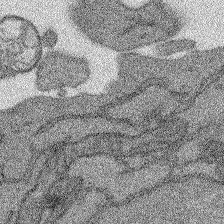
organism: Human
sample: HeLa cells